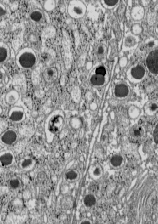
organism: C57BL Mouse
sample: Pancreatic islet